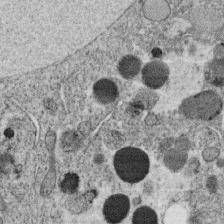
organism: C. elegans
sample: C. elegans oocyte; sperm cells